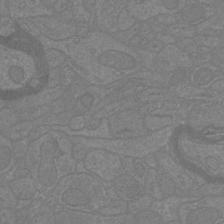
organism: Mouse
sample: Cortical neurons